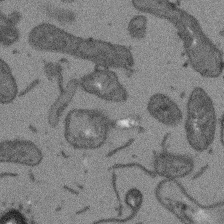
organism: Arabidopsis thaliana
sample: Root tip